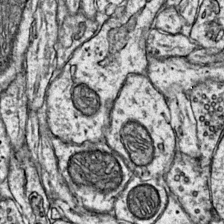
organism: Mouse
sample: Primary visual cortex